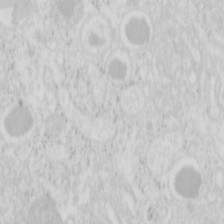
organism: Mouse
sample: Pancreas